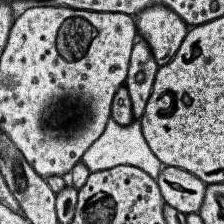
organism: Human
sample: Temporal Lobe